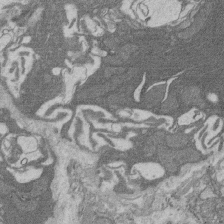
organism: Rat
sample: Salivary granule